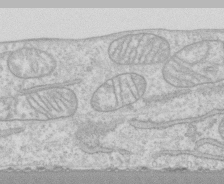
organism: Human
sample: CRL-1474